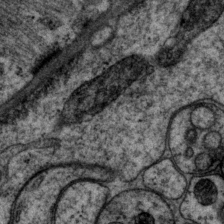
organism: P. pacificus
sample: Pharynx